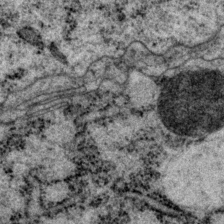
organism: P. pacificus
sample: Pharynx